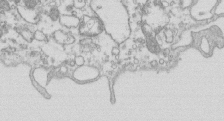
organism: Mouse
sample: Macrophages